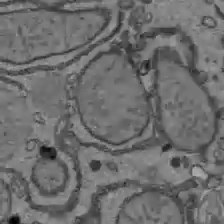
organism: C57BL Mouse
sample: Liver